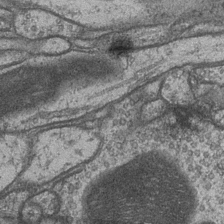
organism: Drosophila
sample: Optic medulla